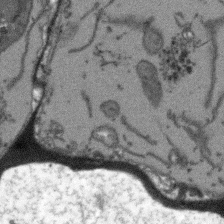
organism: Arabidopsis thaliana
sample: Root tip